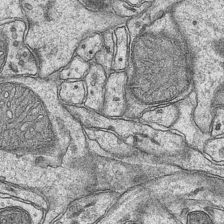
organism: Mouse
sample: CA1 Hippocampus